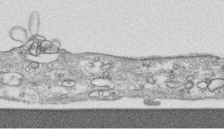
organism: Human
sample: CRL-1474